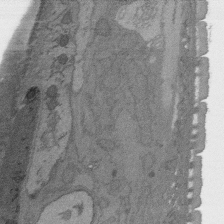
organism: C. elegans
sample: AFD neurons C. elegans